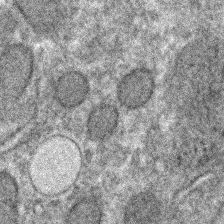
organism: C. elegans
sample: C. elegans embryo